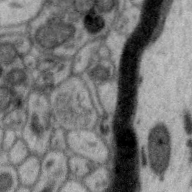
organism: Zebra finch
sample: Brain